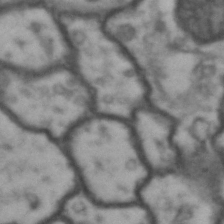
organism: Drosophila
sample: Brain